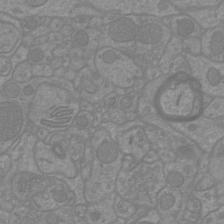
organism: Mouse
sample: Cortical neurons